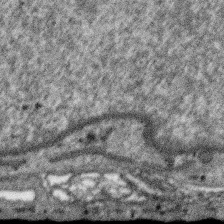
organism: Human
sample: Lung epithelial cells infected with SARS-CoV-2